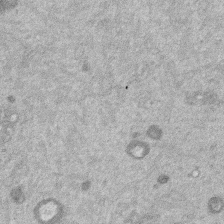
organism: Mouse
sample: Dividing mouse embryo 1 cell stage